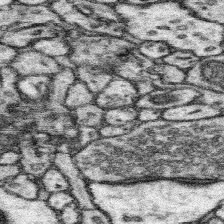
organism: Mouse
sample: Somatosensory cortex neuropil